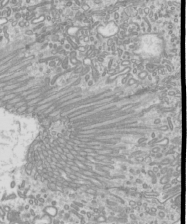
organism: Mouse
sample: Cilia; mouse epididymis